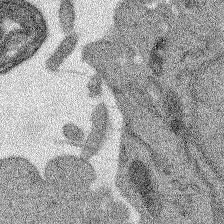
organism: Human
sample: HeLa cells